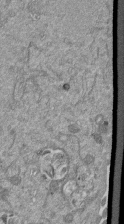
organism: Mouse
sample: ED-1 cell nuclei; centrioles